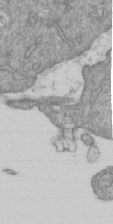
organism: Mouse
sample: ED-1 cell nuclei; centrioles